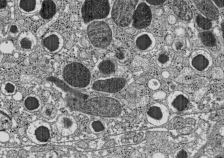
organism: C57BL Mouse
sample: Pancreatic islet